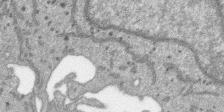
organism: Human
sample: Lung epithelial cells infected with SARS-CoV-2